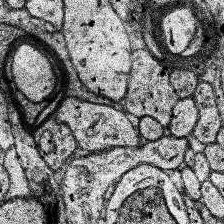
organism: Human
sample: Temporal Lobe